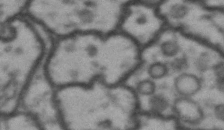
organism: Drosophila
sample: Brain